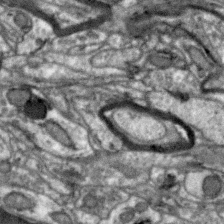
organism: Zebra finch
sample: Brain